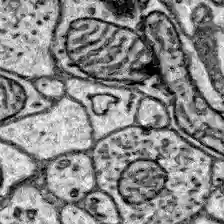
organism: Zebrafish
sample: Brain